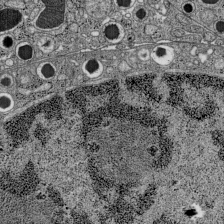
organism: C57BL Mouse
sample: Pancreatic islet